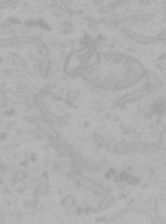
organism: Mouse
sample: Choroid plexus